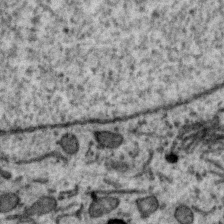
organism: Zebra finch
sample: Brain